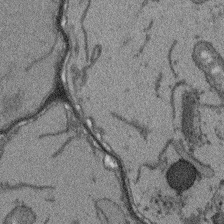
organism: Arabidopsis thaliana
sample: Root tip